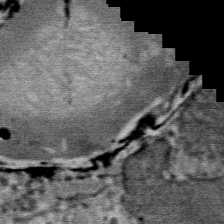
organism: Mouse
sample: Mouse Salivary gland